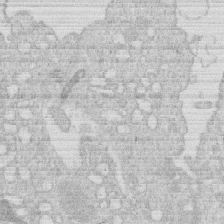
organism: Human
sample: Macrophage cells